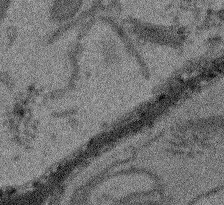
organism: Arabidopsis thaliana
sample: Root tip